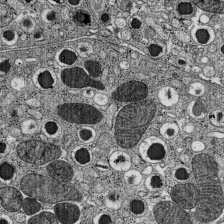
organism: C57BL Mouse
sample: Pancreatic islet